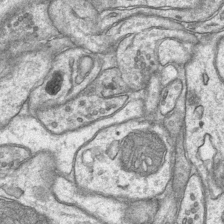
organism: Mouse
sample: CA1 Hippocampus